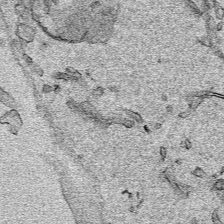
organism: Human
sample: Mitochondria in HCT116 cells